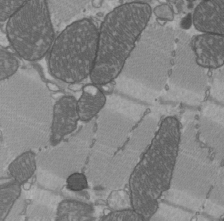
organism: C57BL Mouse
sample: Heart